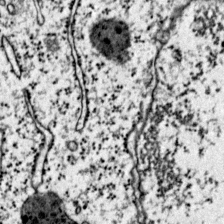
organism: Mouse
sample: Primary visual cortex